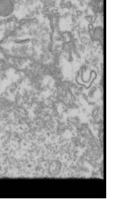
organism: Drosophila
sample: Cell division; meiosis; drosophila spermatocytes